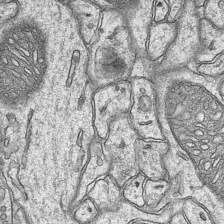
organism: Mouse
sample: CA1 Hippocampus